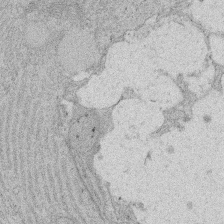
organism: Rat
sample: Salivary granule